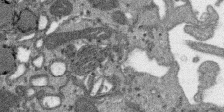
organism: Human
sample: Lung epithelial cells infected with SARS-CoV-2